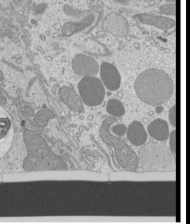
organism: Mouse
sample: Cilia; mouse epididymis